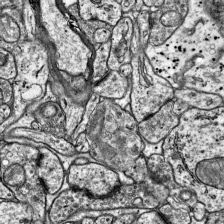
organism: Mouse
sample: Visual Cortex